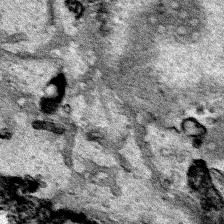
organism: Human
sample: Mitochondria in HCT116 cells